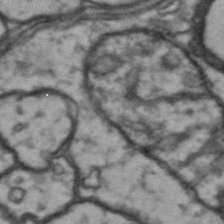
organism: Drosophila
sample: Brain